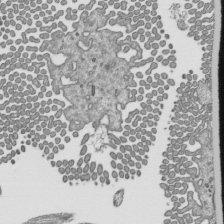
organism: Mouse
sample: Mouse epididymis efferent ductule cilia